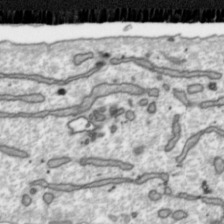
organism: Toxoplasma gondii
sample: Parasites in a vacuole inside a host cell